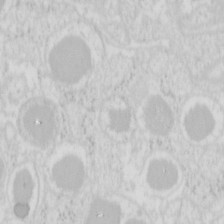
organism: Mouse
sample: Pancreas